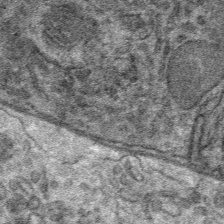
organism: Mouse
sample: Mouse Salivary gland